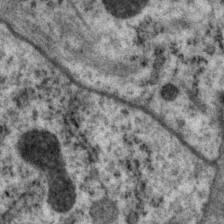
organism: P. pacificus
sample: Pharynx